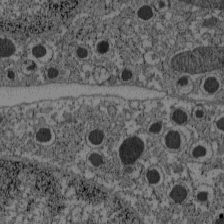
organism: C57BL Mouse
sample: Pancreatic islet